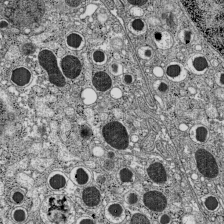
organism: C57BL Mouse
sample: Pancreatic islet